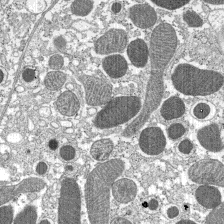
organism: C57BL Mouse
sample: Pancreatic islet